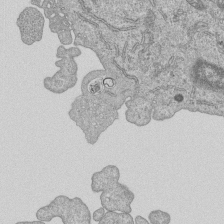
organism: Human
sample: MDA-MB-231 cells